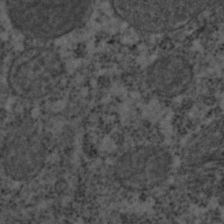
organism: C. elegans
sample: C. elegans embryo